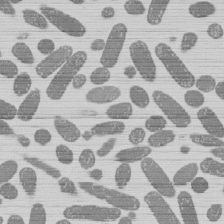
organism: E. coli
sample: Bacterial nucleoid